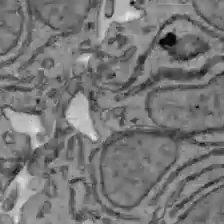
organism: C57BL Mouse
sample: Liver